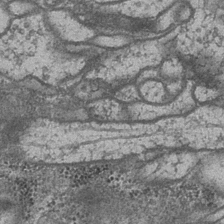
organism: Drosophila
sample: Optic medulla